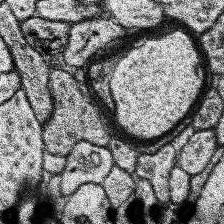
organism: Human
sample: Temporal Lobe